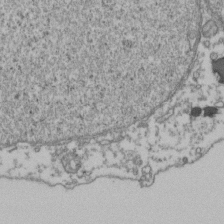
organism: Human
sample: Activated Jurkat CD4+ T cells